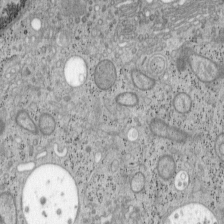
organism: Mouse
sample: OT-I killer T cells with ID8 ovarian cancer cells